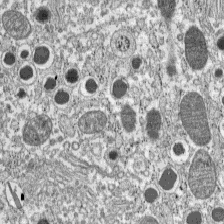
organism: C57BL Mouse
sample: Pancreatic islet